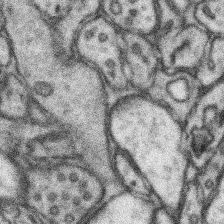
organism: Mouse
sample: Somatosensory cortex neuropil